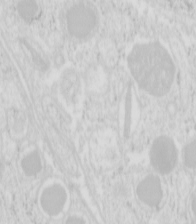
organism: Mouse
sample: Pancreas